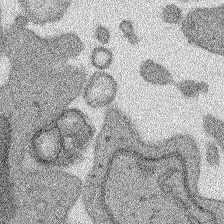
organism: Human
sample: HeLa cells